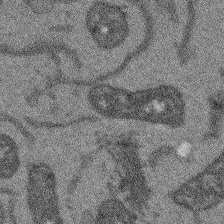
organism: Arabidopsis thaliana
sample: Root tip